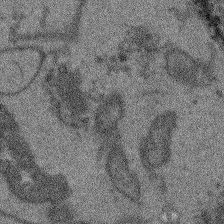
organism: Arabidopsis thaliana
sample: Root tip